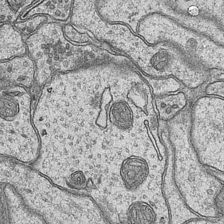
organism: Mouse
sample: CA1 Hippocampus